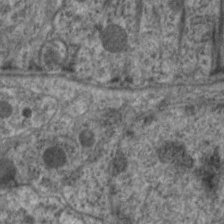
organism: C. elegans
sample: Pharynx